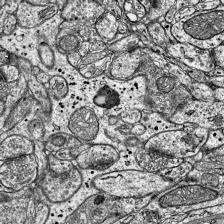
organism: Mouse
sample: Visual Cortex